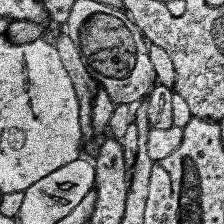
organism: Human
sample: Temporal Lobe